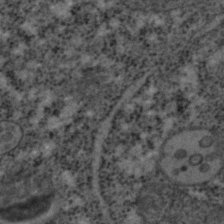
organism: C. elegans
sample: C. elegans embryo